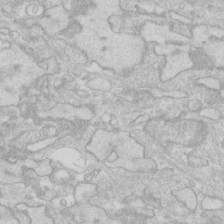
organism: Human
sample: Fibroblast cells